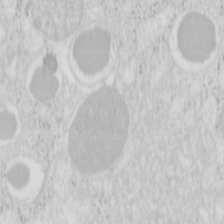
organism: Mouse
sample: Pancreas